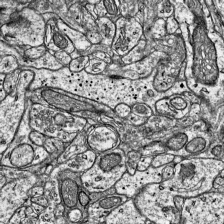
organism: Mouse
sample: Visual Cortex